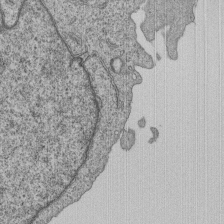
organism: Human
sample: MDA-MB-231 cells